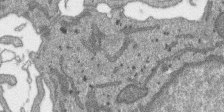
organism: Human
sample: Lung epithelial cells infected with SARS-CoV-2